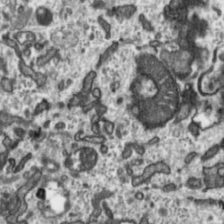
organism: Toxoplasma gondii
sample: Parasites in a vacuole inside a host cell